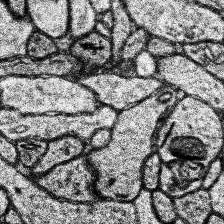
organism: Human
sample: Temporal Lobe